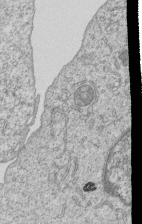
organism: Human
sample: MDA-MB-231 cells